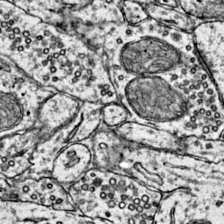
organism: Mouse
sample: Primary visual cortex